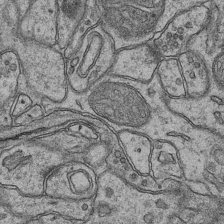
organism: Mouse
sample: CA1 Hippocampus